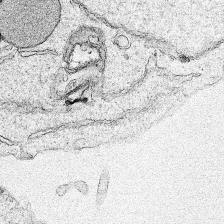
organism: Human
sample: Mitochondria in HCT116 cells